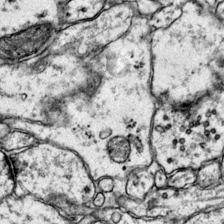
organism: Mouse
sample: Primary visual cortex